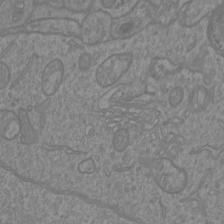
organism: Mouse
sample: Cortical neurons